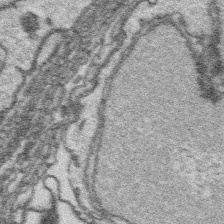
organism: Platynereis dumerilii